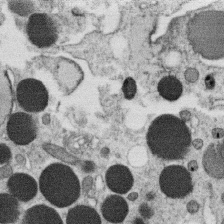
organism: C. elegans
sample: C. elegans oocyte; sperm cells